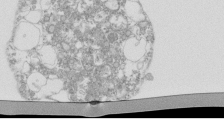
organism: Mouse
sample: Activated Pmel transgenic CD8+ T Cells